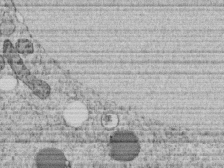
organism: C. elegans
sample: C. elegans embryo early stage